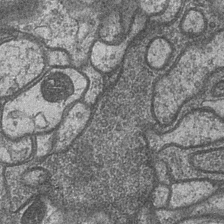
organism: Drosophila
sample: Optic medulla